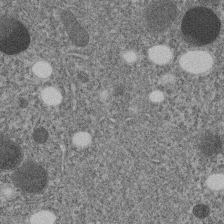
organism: C. elegans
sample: C. elegans embryo early stage